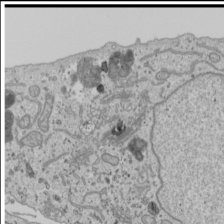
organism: Human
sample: Mitochondria in U2OS cells